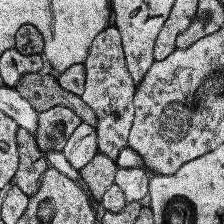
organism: Human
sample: Temporal Lobe